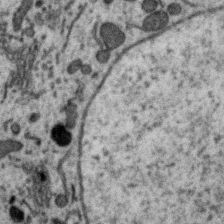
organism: Zebra finch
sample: Brain